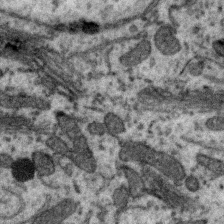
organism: Zebra finch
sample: Brain